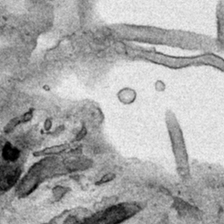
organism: Human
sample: Mitochondria in HCT116 cells